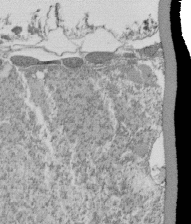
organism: Tetrahymena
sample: Cilia in tetrahymena